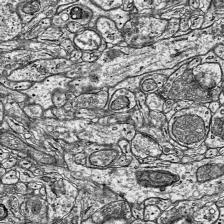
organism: Mouse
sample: Visual Cortex